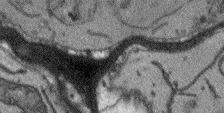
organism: Arabidopsis thaliana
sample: Root tip